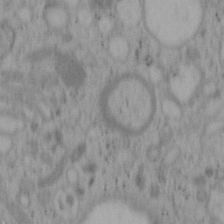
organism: Mouse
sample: OT-I killer T cells with ID8 ovarian cancer cells